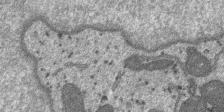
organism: Human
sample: Lung epithelial cells infected with SARS-CoV-2